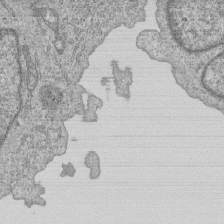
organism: Human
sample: MDA-MB-231 cells